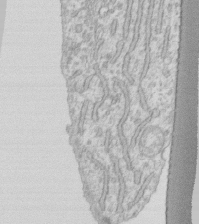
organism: Human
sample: Fibroblast cells